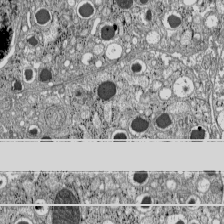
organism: C57BL Mouse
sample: Pancreatic islet